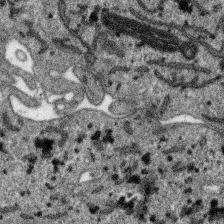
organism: Human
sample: Lung epithelial cells infected with SARS-CoV-2